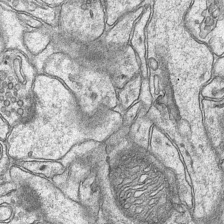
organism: Mouse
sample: CA1 Hippocampus